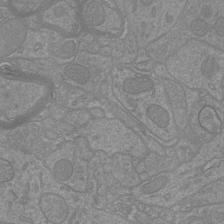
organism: Mouse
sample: Cortical neurons